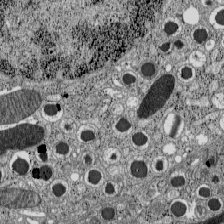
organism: C57BL Mouse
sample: Pancreatic islet